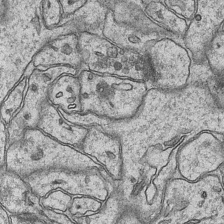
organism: Mouse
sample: CA1 Hippocampus